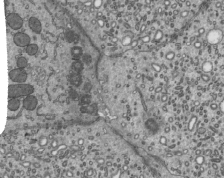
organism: Mouse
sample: Mouse epididymis efferent ductule cilia